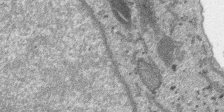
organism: Human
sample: Lung epithelial cells infected with SARS-CoV-2